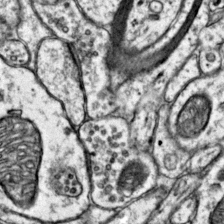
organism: Mouse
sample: Primary visual cortex